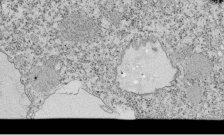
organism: Tetrahymena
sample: Cilia in tetrahymena